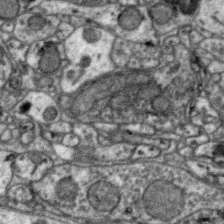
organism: Zebra finch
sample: Brain